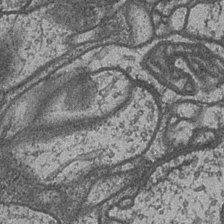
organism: Drosophila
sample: Optic medulla